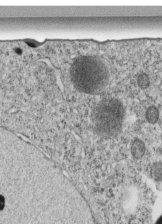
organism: C. elegans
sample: C. elegans embryo early stage